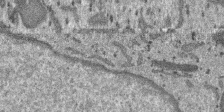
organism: Human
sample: Lung epithelial cells infected with SARS-CoV-2